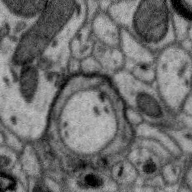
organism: Zebra finch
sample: Brain